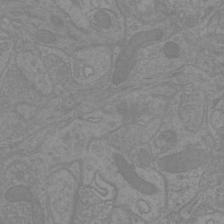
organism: Mouse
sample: Cortical neurons